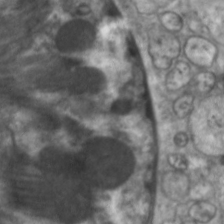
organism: C. elegans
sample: Pharynx